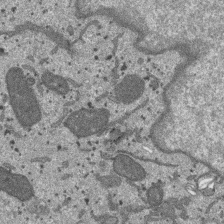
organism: Human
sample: Lung epithelial cells infected with SARS-CoV-2